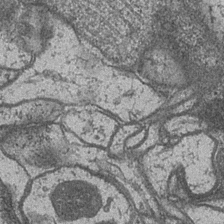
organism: Drosophila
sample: Optic medulla